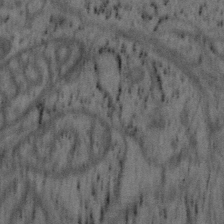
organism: Human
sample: HeLa cells